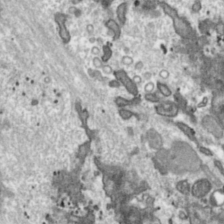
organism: Toxoplasma gondii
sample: Parasites in a vacuole inside a host cell